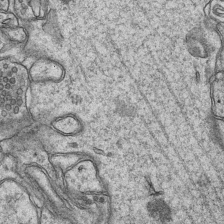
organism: Mouse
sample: CA1 Hippocampus